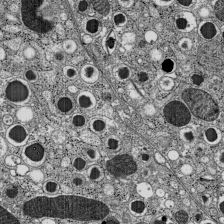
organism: C57BL Mouse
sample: Pancreatic islet